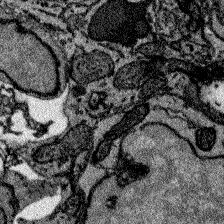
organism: Zebrafish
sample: Larval olfactory bulb